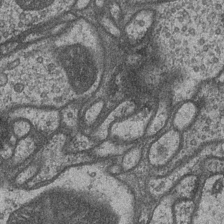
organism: Drosophila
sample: Optic medulla